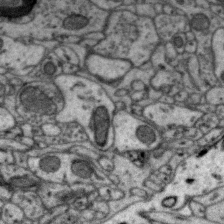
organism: Zebra finch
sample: Brain